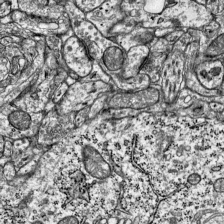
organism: Mouse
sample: Visual Cortex